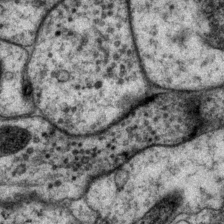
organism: P. pacificus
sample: Pharynx